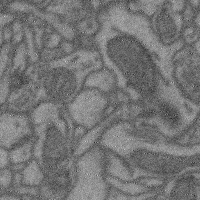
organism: Mouse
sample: Cerebral cortex